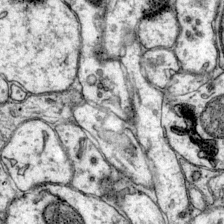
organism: Mouse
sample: Primary visual cortex